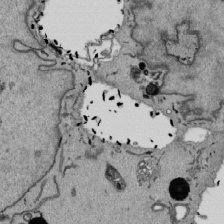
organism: Mouse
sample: ED-1 cell nuclei; centrioles